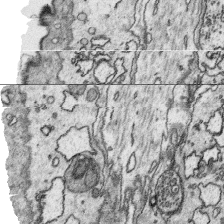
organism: Platynereis dumerilii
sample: Parapodia